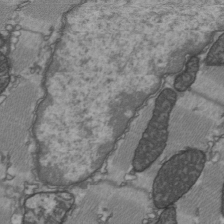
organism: C57BL Mouse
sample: Heart